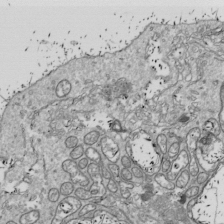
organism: Drosophila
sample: Cell division; meiosis; drosophila spermatocytes